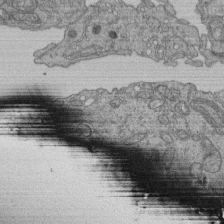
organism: Human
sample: Retinal organoid Rod and Cone cells